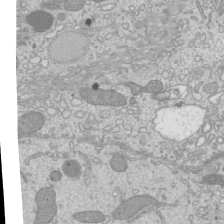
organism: Mouse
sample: Cilia; mouse epididymis